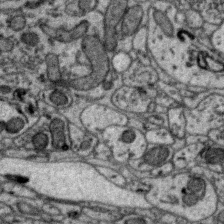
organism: Zebra finch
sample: Brain